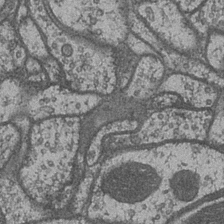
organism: Drosophila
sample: Optic medulla